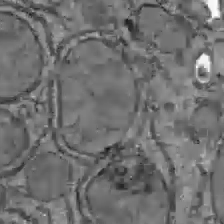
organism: C57BL Mouse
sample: Liver